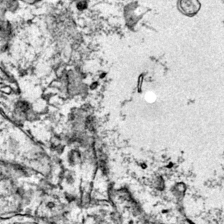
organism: Mouse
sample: Primary visual cortex